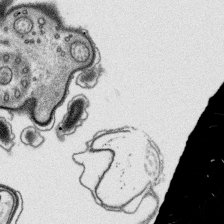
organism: Platynereis dumerilii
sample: Parapodia